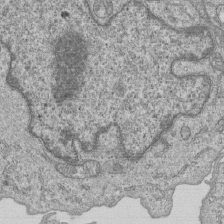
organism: Human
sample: MDA-MB-231 cells